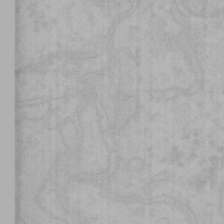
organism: Mouse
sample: Choroid plexus